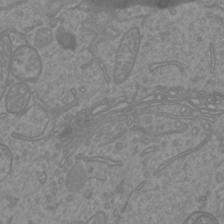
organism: Mouse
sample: Cortical neurons